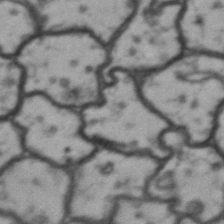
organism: Drosophila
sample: Brain